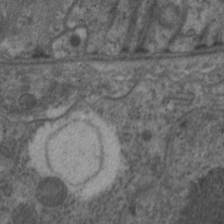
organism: C. elegans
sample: Pharynx